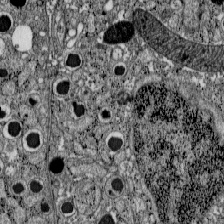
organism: C57BL Mouse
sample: Pancreatic islet